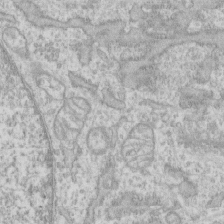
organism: Human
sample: CRL-1474